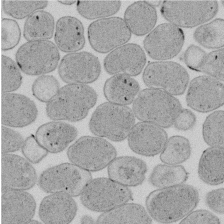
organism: E. coli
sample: Bacterial nucleoid